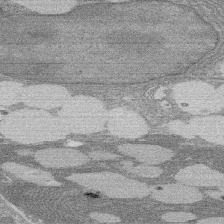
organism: Rat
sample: Salivary granule